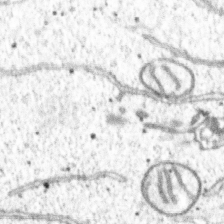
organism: Human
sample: HeLa cells